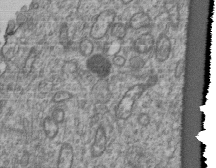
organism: Human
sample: Retinal organoid Rod and Cone cells